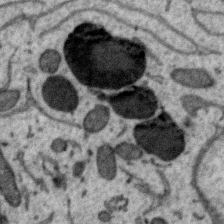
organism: Zebra finch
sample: Brain